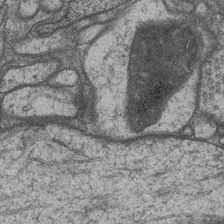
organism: Drosophila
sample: Optic medulla